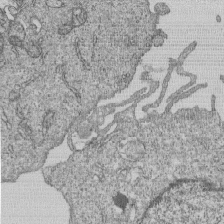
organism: Human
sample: MDA-MB-231 cells